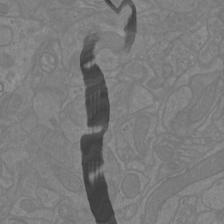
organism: Mouse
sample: Cortical neurons